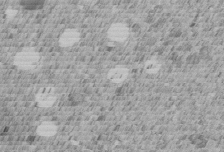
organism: C. elegans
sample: C. elegans embryo early stage